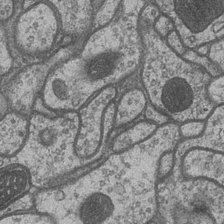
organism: Drosophila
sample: Optic medulla